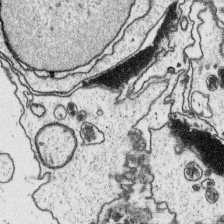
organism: Platynereis dumerilii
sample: Parapodia